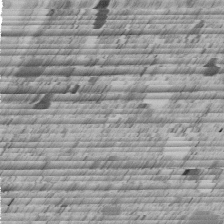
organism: C. elegans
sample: C. elegans embryo early stage